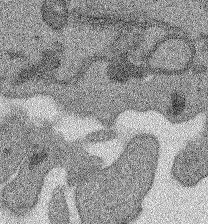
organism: Human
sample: HeLa cells